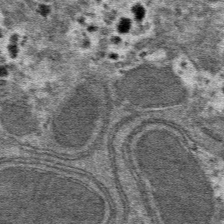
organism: Mouse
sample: Mouse hepatocytes